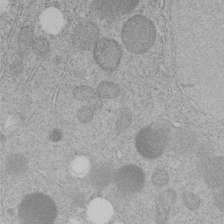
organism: C. elegans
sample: C. elegans embryo early stage